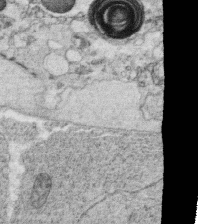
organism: C. elegans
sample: C. elegans oocyte; sperm cells